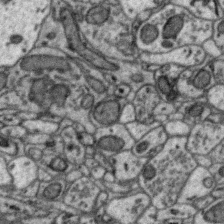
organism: Zebra finch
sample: Brain